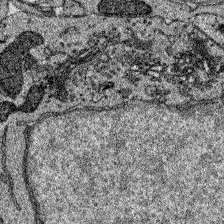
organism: Zebrafish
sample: Larval olfactory bulb